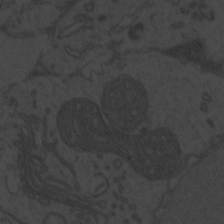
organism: Zebrafish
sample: Macrophage infected with Toxoplasma gondii